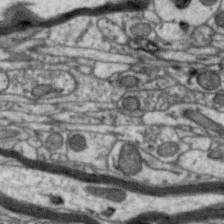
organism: Zebra finch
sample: Brain